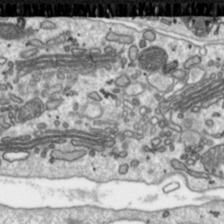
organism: Toxoplasma gondii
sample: Parasites in a vacuole inside a host cell